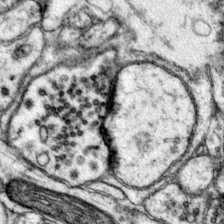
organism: Mouse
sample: Primary visual cortex